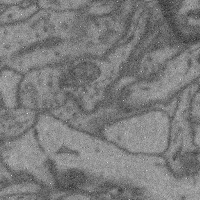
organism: Mouse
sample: Cerebral cortex